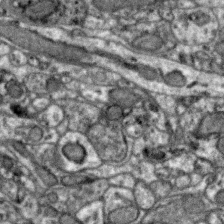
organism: Zebra finch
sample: Brain